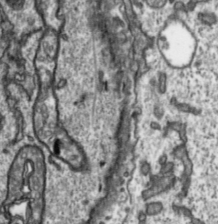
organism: Toxoplasma gondii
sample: Parasites in a vacuole inside a host cell